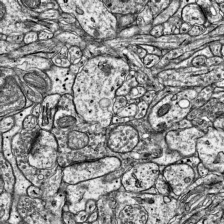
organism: Mouse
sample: Visual Cortex